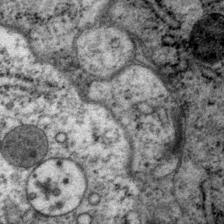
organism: P. pacificus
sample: Pharynx